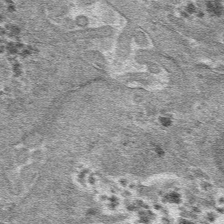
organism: Mouse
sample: Mouse hepatocytes